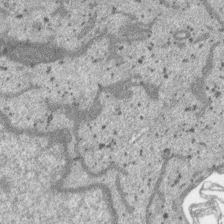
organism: Human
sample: Lung epithelial cells infected with SARS-CoV-2